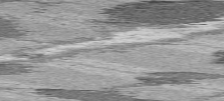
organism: C57BL Mouse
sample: Heart